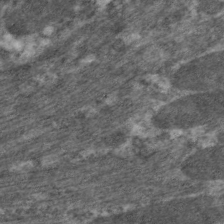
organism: C. elegans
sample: Pharynx